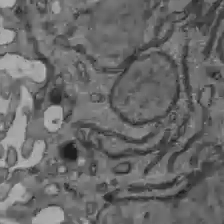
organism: C57BL Mouse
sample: Liver